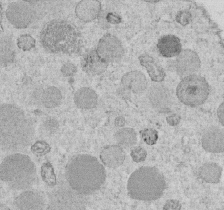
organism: C. elegans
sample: C. elegans embryo early stage